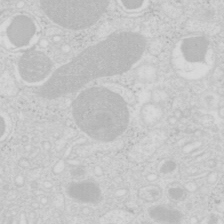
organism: Mouse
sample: Pancreas